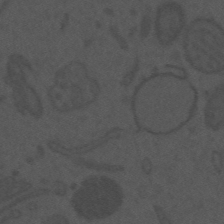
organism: Mouse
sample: Suprachiasmatic nucleus